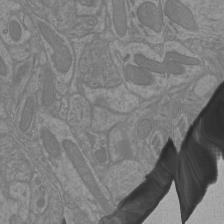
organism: Mouse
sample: Cortical neurons